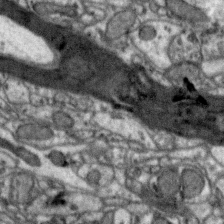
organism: Zebra finch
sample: Brain